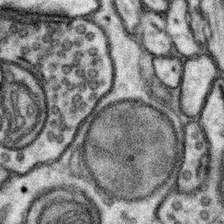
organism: Mouse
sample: Somatosensory cortex neuropil